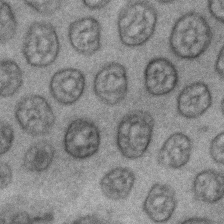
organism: C. elegans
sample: C. elegans embryo